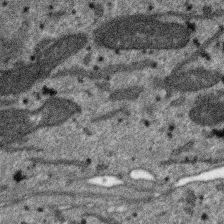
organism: Human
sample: Lung epithelial cells infected with SARS-CoV-2